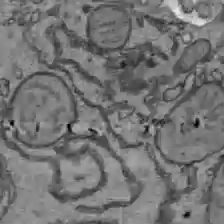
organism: C57BL Mouse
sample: Liver